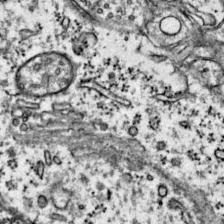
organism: Mouse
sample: Primary visual cortex